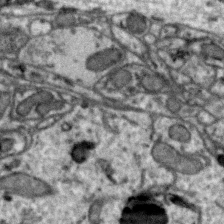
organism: Zebra finch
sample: Brain